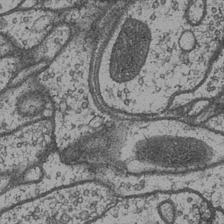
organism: Drosophila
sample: Optic medulla